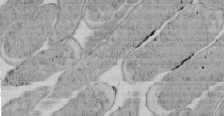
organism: E. coli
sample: Bacterial nucleoid